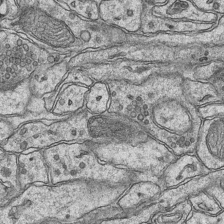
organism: Mouse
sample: CA1 Hippocampus